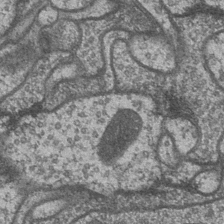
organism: Drosophila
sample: Optic medulla